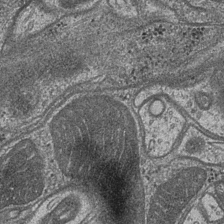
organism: Drosophila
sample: Optic medulla